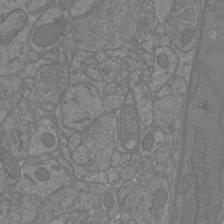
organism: Mouse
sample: Cortical neurons